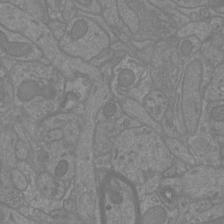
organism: Mouse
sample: Cortical neurons